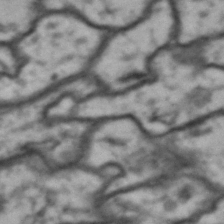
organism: Drosophila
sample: Brain